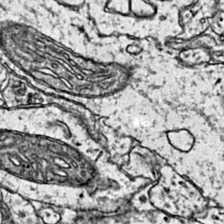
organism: Mouse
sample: Primary visual cortex